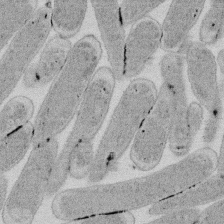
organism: E. coli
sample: Bacterial nucleoid